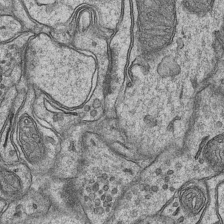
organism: Mouse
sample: CA1 Hippocampus